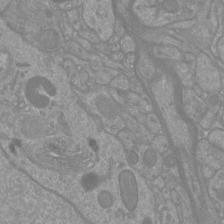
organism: Mouse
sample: Cortical neurons